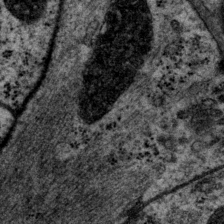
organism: P. pacificus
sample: Pharynx